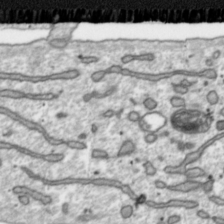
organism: Toxoplasma gondii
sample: Parasites in a vacuole inside a host cell